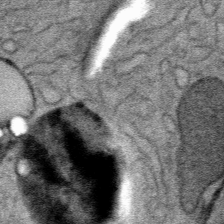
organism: Mouse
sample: Mouse Salivary gland